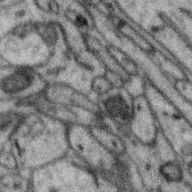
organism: Zebra finch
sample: Brain